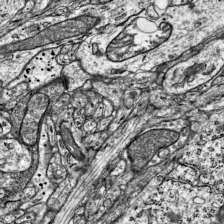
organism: Mouse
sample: Visual Cortex